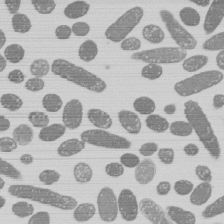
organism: E. coli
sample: Bacterial nucleoid